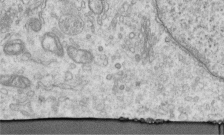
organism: Human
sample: Centriole in RPE cells